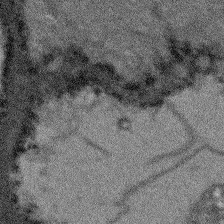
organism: Arabidopsis thaliana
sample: Root tip